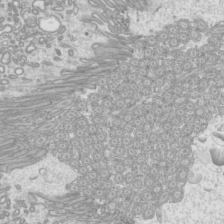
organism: Mouse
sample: Cilia; mouse epididymis